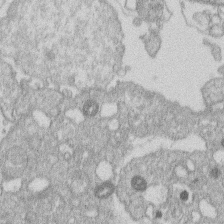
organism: Human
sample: Macrophage cells